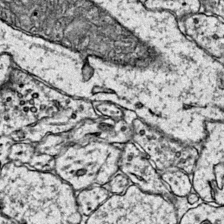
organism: Mouse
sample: Primary visual cortex